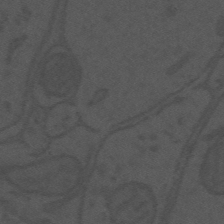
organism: Mouse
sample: Suprachiasmatic nucleus